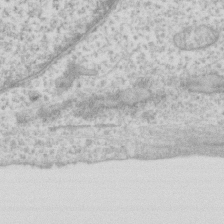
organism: Human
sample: Fibroblast cells